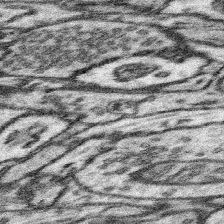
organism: Mouse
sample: Somatosensory cortex neuropil